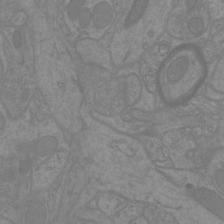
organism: Mouse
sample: Cortical neurons